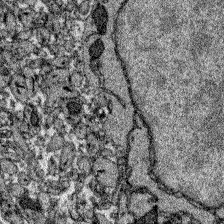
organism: Zebrafish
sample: Larval olfactory bulb